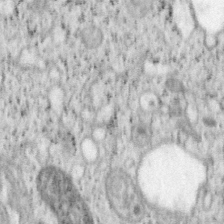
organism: Mouse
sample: OT-I killer T cells with ID8 ovarian cancer cells